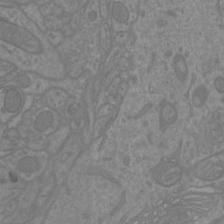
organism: Mouse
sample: Cortical neurons